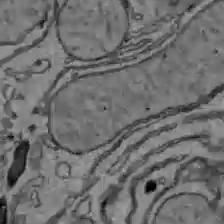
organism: C57BL Mouse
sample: Liver